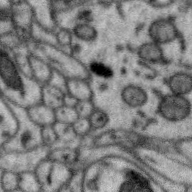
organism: Zebra finch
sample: Brain